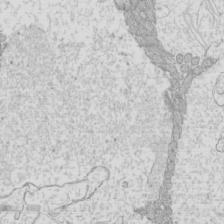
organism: Mouse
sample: Cilia; mouse epididymis